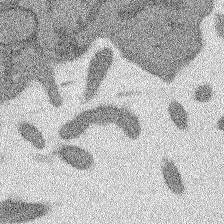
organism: Human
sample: HeLa cells